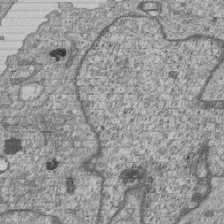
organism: Human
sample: MDA-MB-231 cells